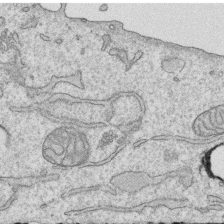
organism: Human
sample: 1205lu cells